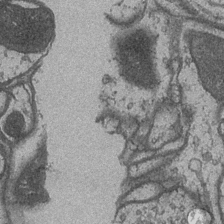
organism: Drosophila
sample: Optic medulla